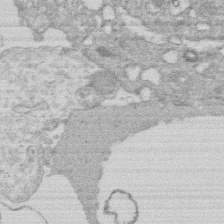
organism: Human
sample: Macrophage cells